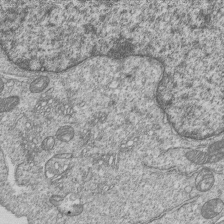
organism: Human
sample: MDA-MB-231 cells